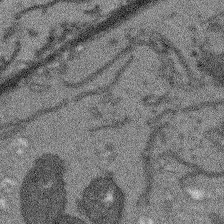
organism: Arabidopsis thaliana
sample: Root tip